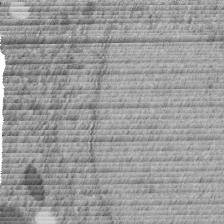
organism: C. elegans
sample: C. elegans embryo early stage